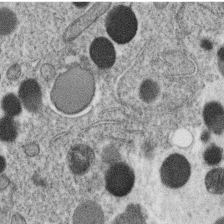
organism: C. elegans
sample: C. elegans oocyte; sperm cells